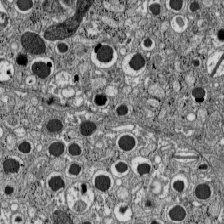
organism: C57BL Mouse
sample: Pancreatic islet